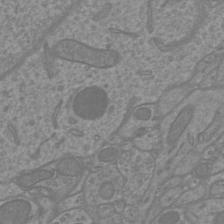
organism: Mouse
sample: Cortical neurons